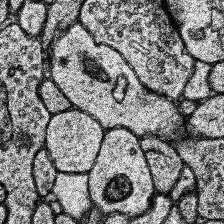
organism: Human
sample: Temporal Lobe